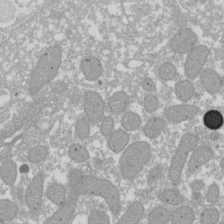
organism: Xenopus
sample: Cilia; centrioles in frog embryo cells